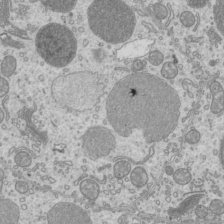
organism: Mouse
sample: Cilia; mouse epididymis